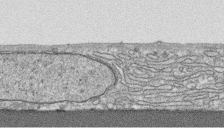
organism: Human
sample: CRL-1474